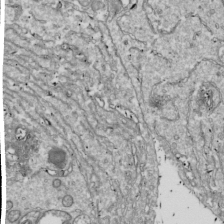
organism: Drosophila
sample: Cell division; meiosis; drosophila spermatocytes